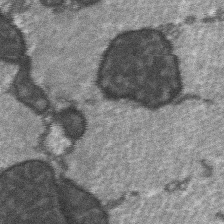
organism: C57BL Mouse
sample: Soleus